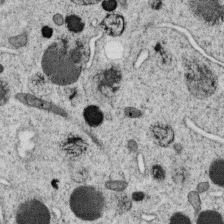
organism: C. elegans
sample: C. elegans oocyte; sperm cells